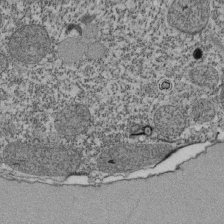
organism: Tetrahymena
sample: Cilia in tetrahymena